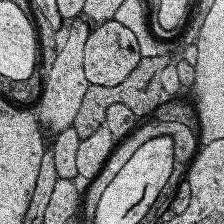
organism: Human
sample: Temporal Lobe